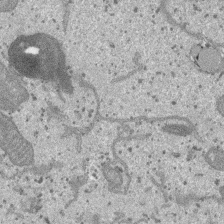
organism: Human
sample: Lung epithelial cells infected with SARS-CoV-2